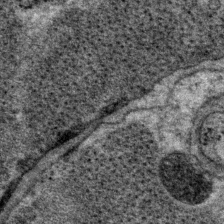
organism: P. pacificus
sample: Pharynx